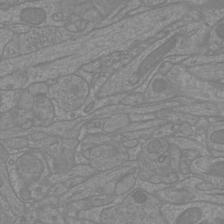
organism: Mouse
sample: Cortical neurons